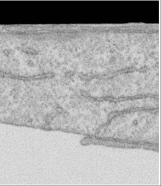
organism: Human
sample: Centriole in RPE cells